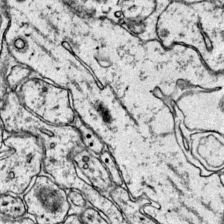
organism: Mouse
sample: Primary visual cortex